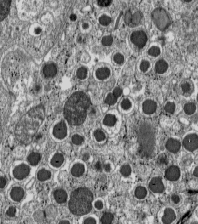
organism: C57BL Mouse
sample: Pancreatic islet